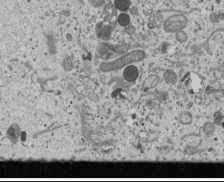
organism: Human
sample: Mitochondria in U2OS cells